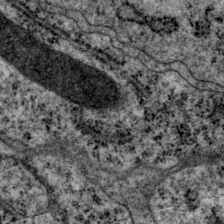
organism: P. pacificus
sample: Pharynx